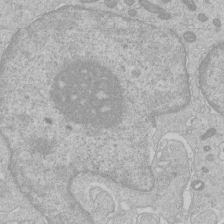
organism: Human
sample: Macrophage cells